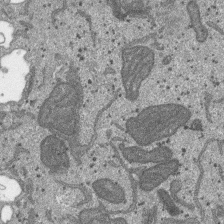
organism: Human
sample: Lung epithelial cells infected with SARS-CoV-2